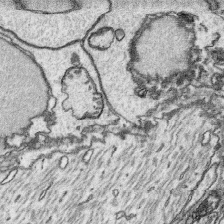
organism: Platynereis dumerilii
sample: Parapodia